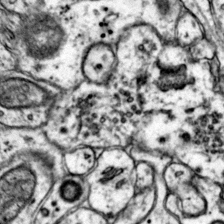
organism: Mouse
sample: Primary visual cortex